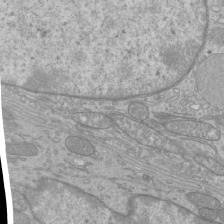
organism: Mouse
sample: Cilia; mouse epididymis